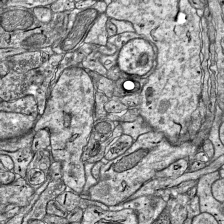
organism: Mouse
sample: Visual Cortex